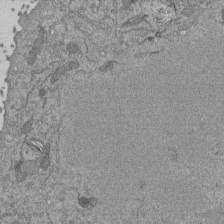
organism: Mouse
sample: ED-1 cell nuclei; centrioles